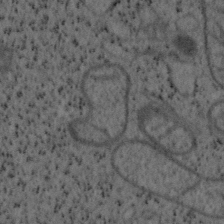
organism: Human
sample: HeLa cells